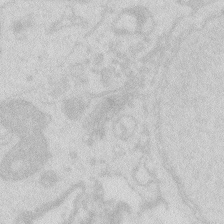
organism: Zebrafish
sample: Macrophage